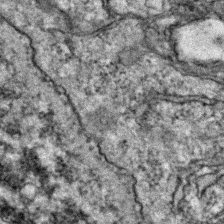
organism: Zebrafish